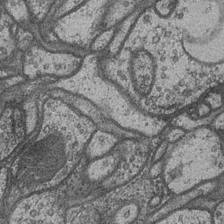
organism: Drosophila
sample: Optic medulla